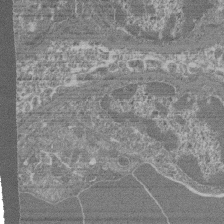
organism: Mouse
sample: Glomerulus